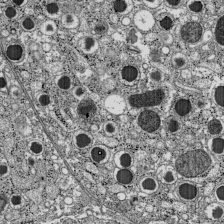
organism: C57BL Mouse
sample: Pancreatic islet